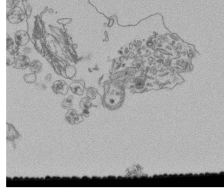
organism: Human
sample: Retinal organoid Rod and Cone cells